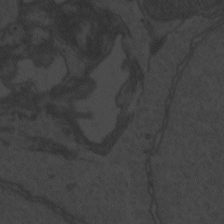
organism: Zebrafish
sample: Macrophage infected with Toxoplasma gondii